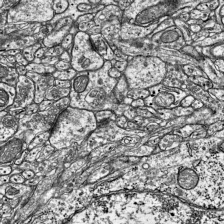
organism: Mouse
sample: Visual Cortex